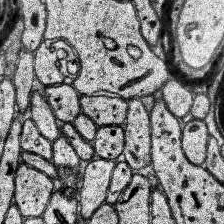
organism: Human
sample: Temporal Lobe